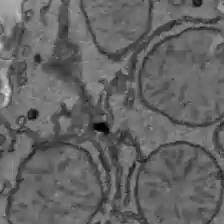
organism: C57BL Mouse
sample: Liver